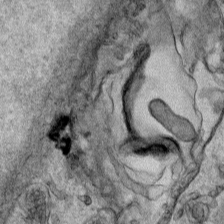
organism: Human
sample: Mitochondria in HCT116 cells